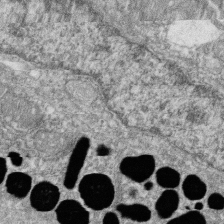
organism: Zebrafish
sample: Cilia; retinal pigment epithelium